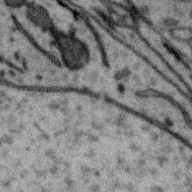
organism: Zebra finch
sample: Brain